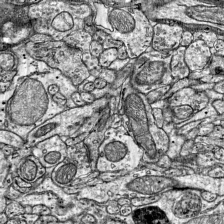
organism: Mouse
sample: Visual Cortex